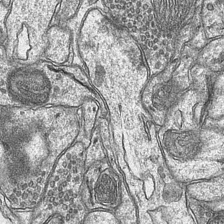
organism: Mouse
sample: CA1 Hippocampus